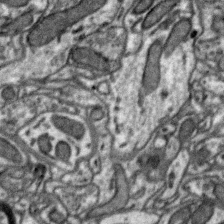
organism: Zebra finch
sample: Brain